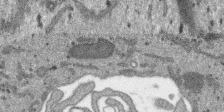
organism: Human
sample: Lung epithelial cells infected with SARS-CoV-2